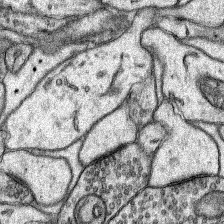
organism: Rat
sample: Hippocampus